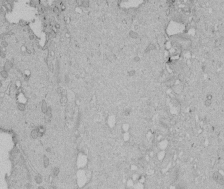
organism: Human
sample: Melanocyte Keratinocyte synapse skin construct